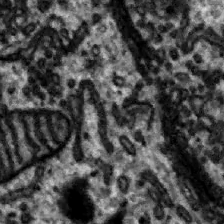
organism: Human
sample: HeLa cells